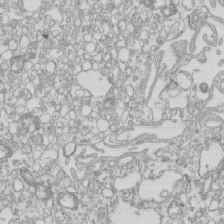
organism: Mouse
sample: Macrophages